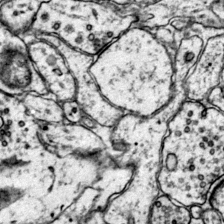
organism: Mouse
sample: Primary visual cortex